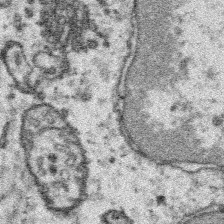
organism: Platynereis dumerilii